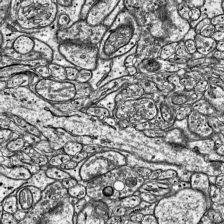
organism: Mouse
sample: Visual Cortex